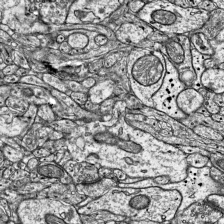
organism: Mouse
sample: Visual Cortex